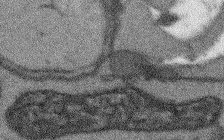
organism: Arabidopsis thaliana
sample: Root tip